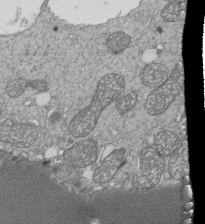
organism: Tetrahymena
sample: Cilia in tetrahymena